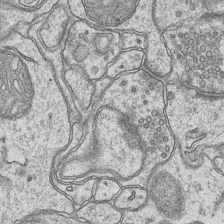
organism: Mouse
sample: CA1 Hippocampus